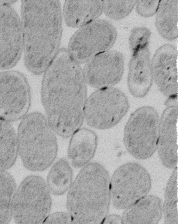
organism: E. coli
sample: Bacterial nucleoid